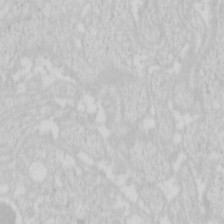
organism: Mouse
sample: Pancreas